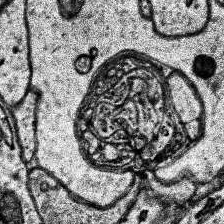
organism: Human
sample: Temporal Lobe